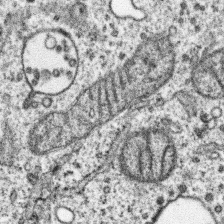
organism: Human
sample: HeLa cells